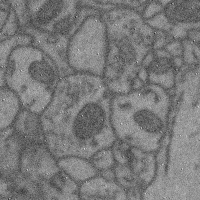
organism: Mouse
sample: Cerebral cortex